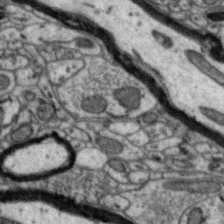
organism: Zebra finch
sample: Brain